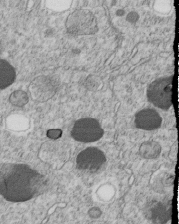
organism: C. elegans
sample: C. elegans embryo early stage